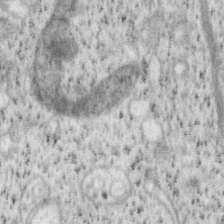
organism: Mouse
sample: OT-I killer T cells with ID8 ovarian cancer cells